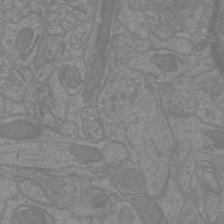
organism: Mouse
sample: Cortical neurons